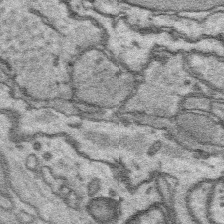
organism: Platynereis dumerilii